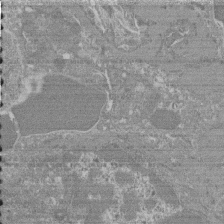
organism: Mouse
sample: Glomerulus